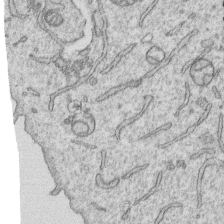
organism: Human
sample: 1205lu cells